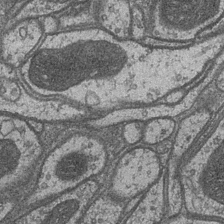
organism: Drosophila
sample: Optic medulla